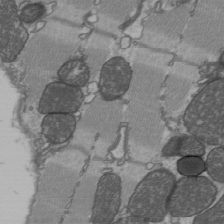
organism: C57BL Mouse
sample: Heart